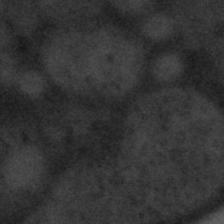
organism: Tuwongella immobilis